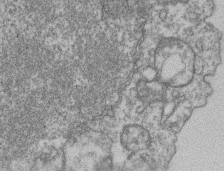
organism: Mouse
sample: T cell stromal cell synapse